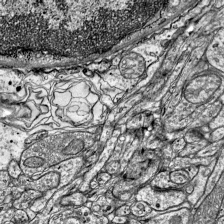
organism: Mouse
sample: Visual Cortex